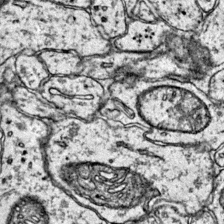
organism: Mouse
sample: Primary visual cortex